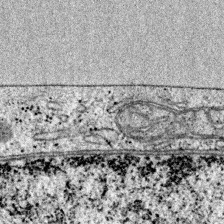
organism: Human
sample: HeLa cells